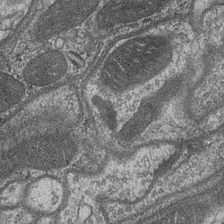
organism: Drosophila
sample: Optic medulla